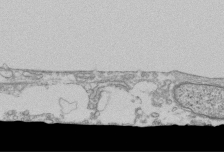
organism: Human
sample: Fibroblast cells